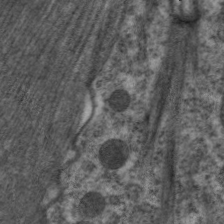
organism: C. elegans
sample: Pharynx